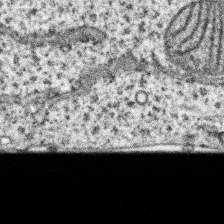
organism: Human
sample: HeLa cells